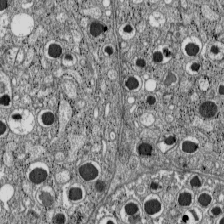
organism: C57BL Mouse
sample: Pancreatic islet